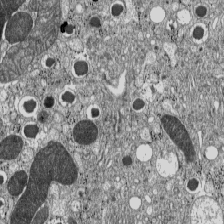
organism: C57BL Mouse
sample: Pancreatic islet